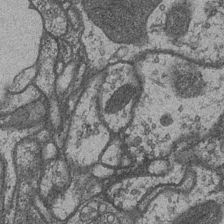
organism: Drosophila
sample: Optic medulla